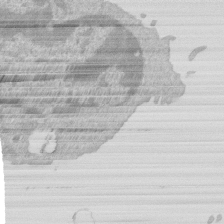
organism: Mouse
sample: Activated Pmel transgenic CD8+ T Cells